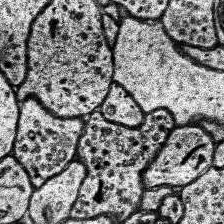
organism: Human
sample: Temporal Lobe